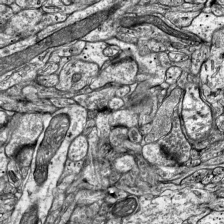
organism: Mouse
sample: Visual Cortex